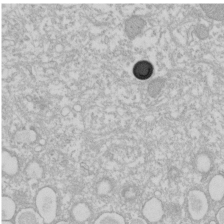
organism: Xenopus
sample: Cilia; centrioles in frog embryo cells